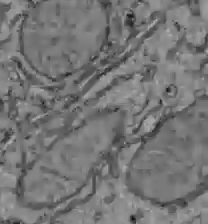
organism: C57BL Mouse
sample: Liver